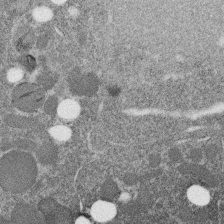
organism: C. elegans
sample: C. elegans embryo early stage